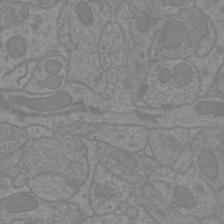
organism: Mouse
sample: Cortical neurons